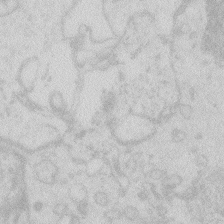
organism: Zebrafish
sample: Macrophage